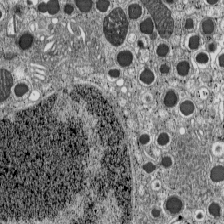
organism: C57BL Mouse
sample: Pancreatic islet